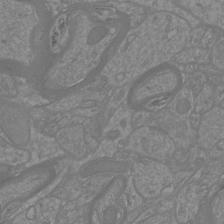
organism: Mouse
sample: Cortical neurons